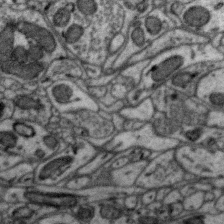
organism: Zebra finch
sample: Brain